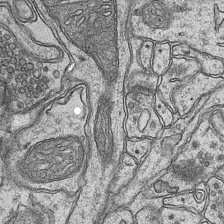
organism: Mouse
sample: CA1 Hippocampus